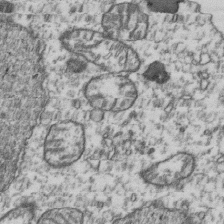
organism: Human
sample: Activated Jurkat CD4+ T cells